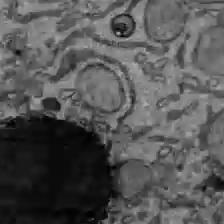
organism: C57BL Mouse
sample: Liver